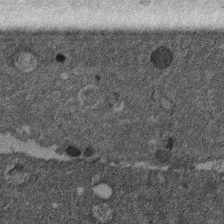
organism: Mouse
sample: Dividing mouse embryo 1 cell stage